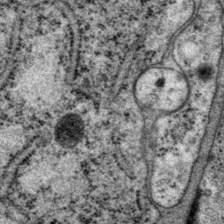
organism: P. pacificus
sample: Pharynx